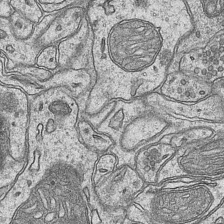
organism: Mouse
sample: CA1 Hippocampus